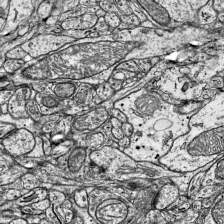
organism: Mouse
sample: Visual Cortex